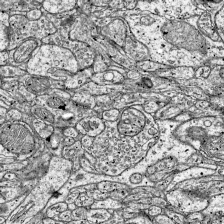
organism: Mouse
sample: Visual Cortex